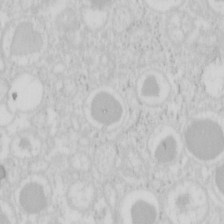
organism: Mouse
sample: Pancreas